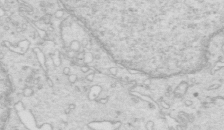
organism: Mouse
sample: Multiciliated cells